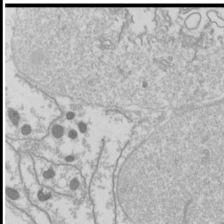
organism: Drosophila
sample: Cell division; meiosis; drosophila spermatocytes